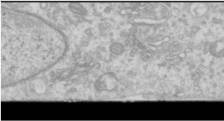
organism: Human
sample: Cilia; basal body in RPE cells